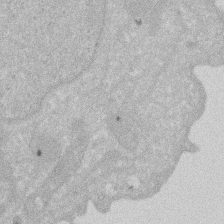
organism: Human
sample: HIV infected U937 cells